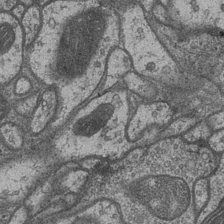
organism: Drosophila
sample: Optic medulla